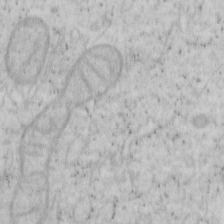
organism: Human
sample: HeLa cells